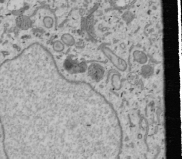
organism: Human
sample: Mitochondria in U2OS cells